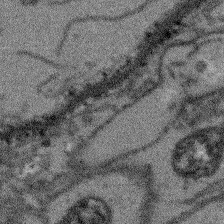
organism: Arabidopsis thaliana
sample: Root tip